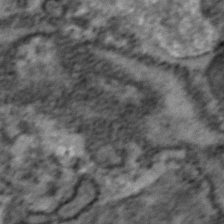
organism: Zebrafish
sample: Zebrafish embryo